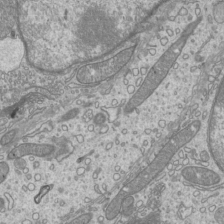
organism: Mouse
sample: Cilia; mouse epididymis